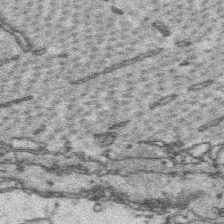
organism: Platynereis dumerilii